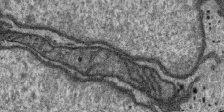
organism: Human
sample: Lung epithelial cells, uninfected (mock) control